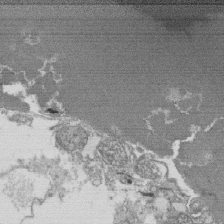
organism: Tetrahymena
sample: Cilia in tetrahymena